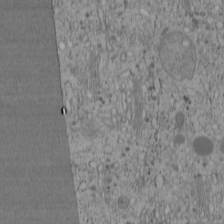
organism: African green monkey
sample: COS-7 cells